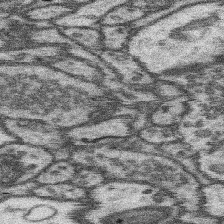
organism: Mouse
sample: Somatosensory cortex neuropil